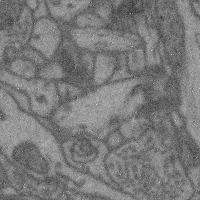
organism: Mouse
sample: Cerebral cortex